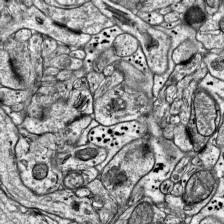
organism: Mouse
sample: Visual Cortex